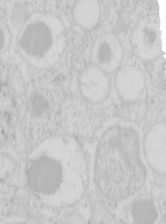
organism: Mouse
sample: Pancreas